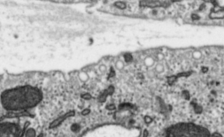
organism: Toxoplasma gondii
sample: Parasites in a vacuole inside a host cell